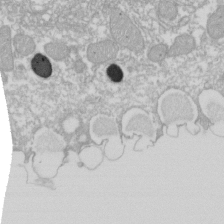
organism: Xenopus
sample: Cilia; centrioles in frog embryo cells